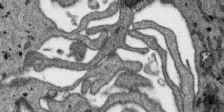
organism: Human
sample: Lung epithelial cells, uninfected (mock) control